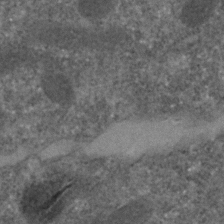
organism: C. elegans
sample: C. elegans embryo